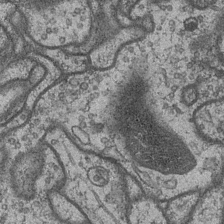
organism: Drosophila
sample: Optic medulla